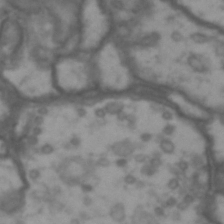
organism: Drosophila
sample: Brain